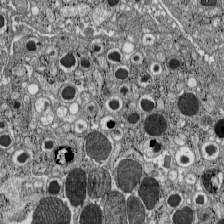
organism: C57BL Mouse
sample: Pancreatic islet